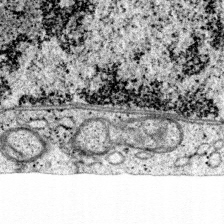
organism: Human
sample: HeLa cells